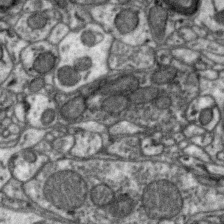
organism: Zebra finch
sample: Brain